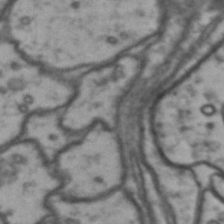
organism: Drosophila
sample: Brain